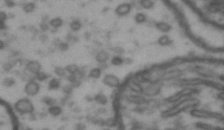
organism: Drosophila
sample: Brain